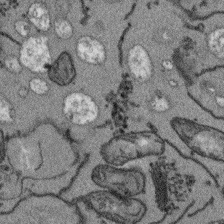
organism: Arabidopsis thaliana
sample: Root tip